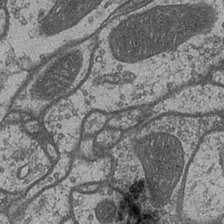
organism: Drosophila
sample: Optic medulla